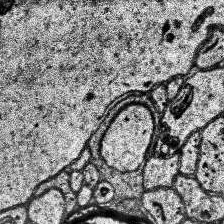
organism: Human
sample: Temporal Lobe